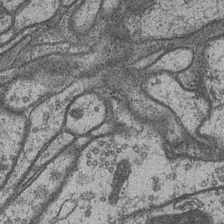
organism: Drosophila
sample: Optic medulla